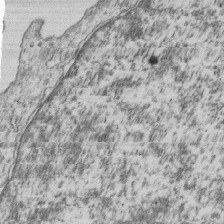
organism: Human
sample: MDA-MB-231 cells